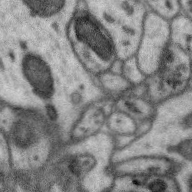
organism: Zebra finch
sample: Brain